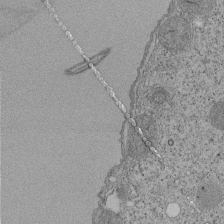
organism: Tetrahymena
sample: Cilia in tetrahymena